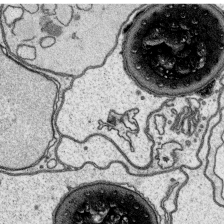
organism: Platynereis dumerilii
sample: Parapodia